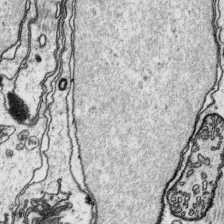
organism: Platynereis dumerilii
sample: Parapodia